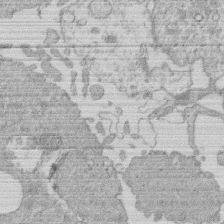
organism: Human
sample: Macrophage cells